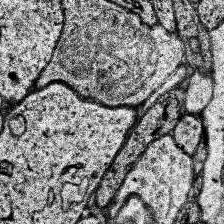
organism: Human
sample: Temporal Lobe